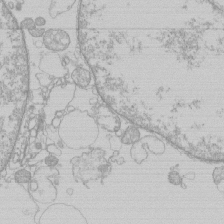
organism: Human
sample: Macrophage cells